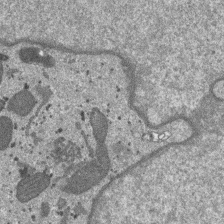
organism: Human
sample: Lung epithelial cells infected with SARS-CoV-2